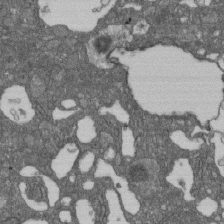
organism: Drosophila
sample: Nephrocyte